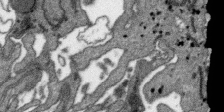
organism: Human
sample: Lung epithelial cells, uninfected (mock) control